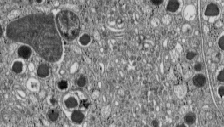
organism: C57BL Mouse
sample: Pancreatic islet